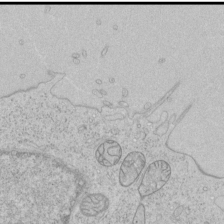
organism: Human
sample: Mitochondria in HCT116 cells